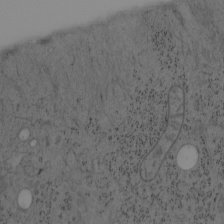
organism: Mouse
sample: OT-I killer T cells with ID8 ovarian cancer cells